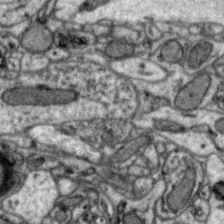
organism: Zebra finch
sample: Brain